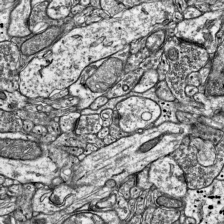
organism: Mouse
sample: Visual Cortex